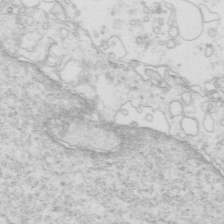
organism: Mouse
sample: Multiciliated cells